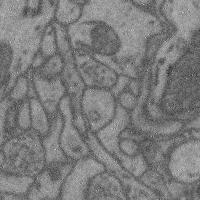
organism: Mouse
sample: Cerebral cortex